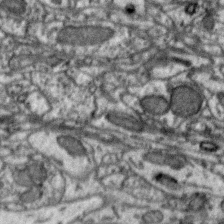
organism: Zebra finch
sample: Brain